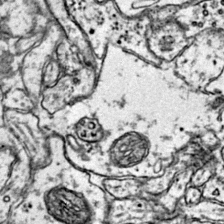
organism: Mouse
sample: Primary visual cortex